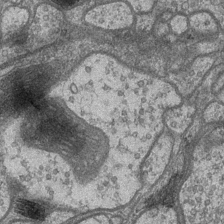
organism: Drosophila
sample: Optic medulla